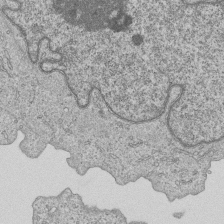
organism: Human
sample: MDA-MB-231 cells